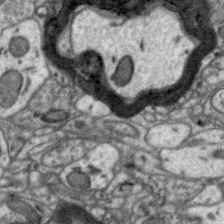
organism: Zebra finch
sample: Brain